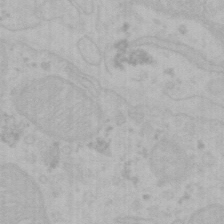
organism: Mouse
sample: Choroid plexus